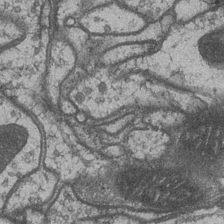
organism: Drosophila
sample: Optic medulla